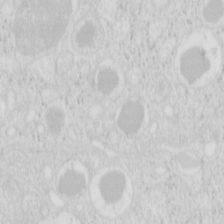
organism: Mouse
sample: Pancreas